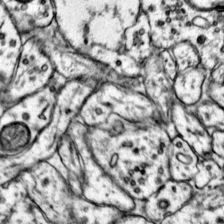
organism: Mouse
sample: Primary visual cortex